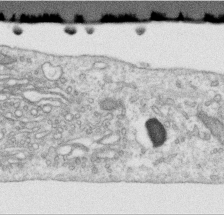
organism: Human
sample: Centriole in RPE cells